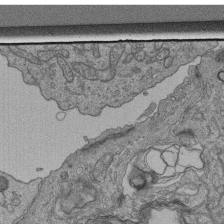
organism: Human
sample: Retinal organoid Rod and Cone cells